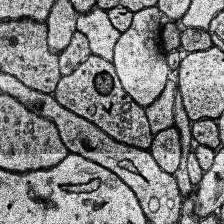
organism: Human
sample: Temporal Lobe